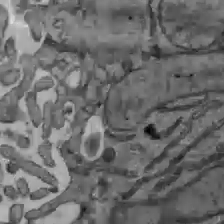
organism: C57BL Mouse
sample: Liver